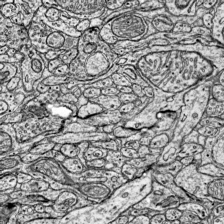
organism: Mouse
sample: Visual Cortex